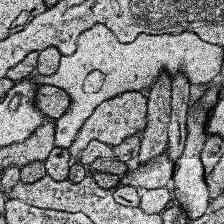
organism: Human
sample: Temporal Lobe